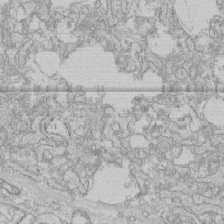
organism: Human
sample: CRL-1474